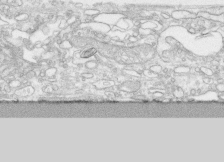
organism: Human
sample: CRL-1474